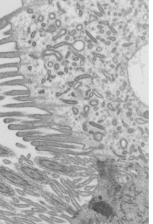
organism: Mouse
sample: Mouse epididymis efferent ductule cilia